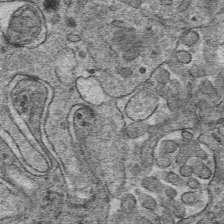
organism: Mouse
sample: Mouse hepatocytes